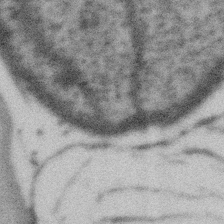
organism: Gemmata obscuriglobus